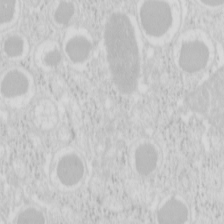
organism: Mouse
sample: Pancreas